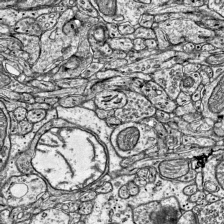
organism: Mouse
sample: Visual Cortex